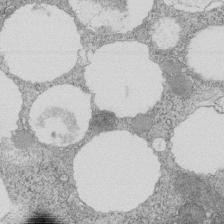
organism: Tetrahymena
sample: Cilia in tetrahymena